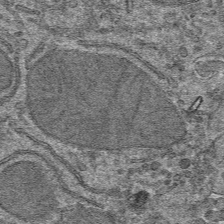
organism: Mouse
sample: Mouse hepatocytes